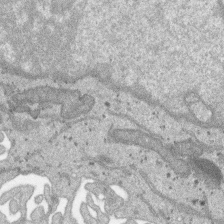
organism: Human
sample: Lung epithelial cells infected with SARS-CoV-2